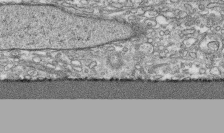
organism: Human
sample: CRL-1474